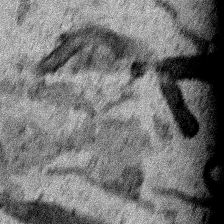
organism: Human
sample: Mitochondria in HCT116 cells